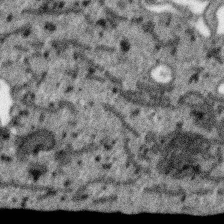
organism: Human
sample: Lung epithelial cells infected with SARS-CoV-2